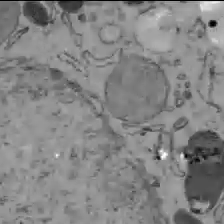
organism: C57BL Mouse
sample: Liver